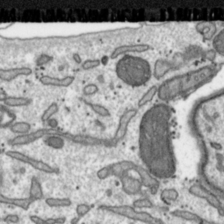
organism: Toxoplasma gondii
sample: Parasites in a vacuole inside a host cell